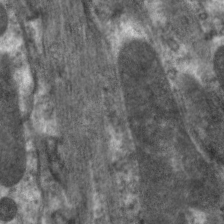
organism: C. elegans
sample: Pharynx